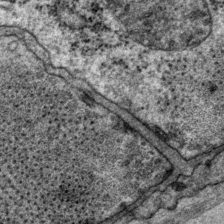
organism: P. pacificus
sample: Pharynx